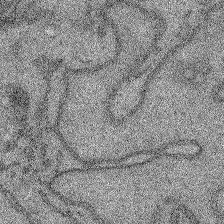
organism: Human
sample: HeLa cells